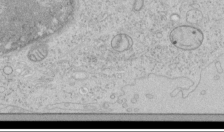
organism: Human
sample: Mitochondria in HCT116 cells